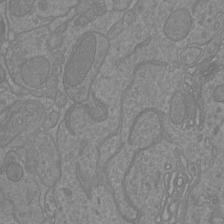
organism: Mouse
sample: Cortical neurons